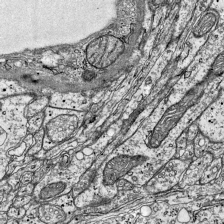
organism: Mouse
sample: Visual Cortex